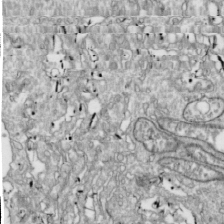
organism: Drosophila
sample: Cell division; meiosis; drosophila spermatocytes